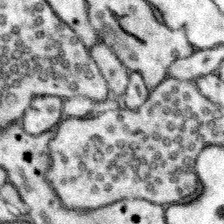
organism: Mouse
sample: Somatosensory cortex neuropil